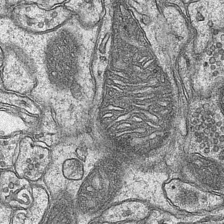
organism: Mouse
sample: CA1 Hippocampus